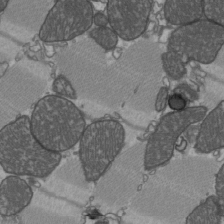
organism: C57BL Mouse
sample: Heart